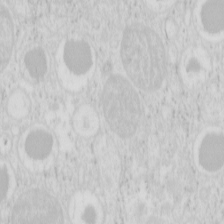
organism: Mouse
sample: Pancreas